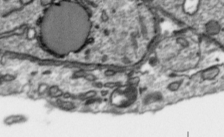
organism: Toxoplasma gondii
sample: Parasites in a vacuole inside a host cell